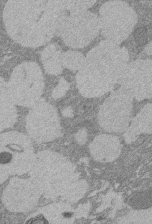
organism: Rat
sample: Salivary granule